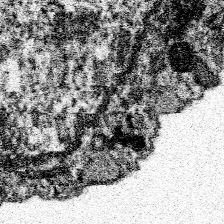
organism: Spongilla lacustris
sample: Neuroid cell